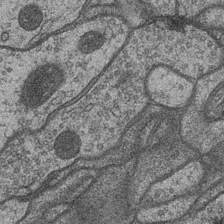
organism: Drosophila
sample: Optic medulla